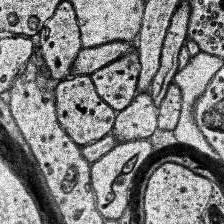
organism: Human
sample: Temporal Lobe